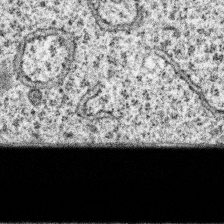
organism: Human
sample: HeLa cells